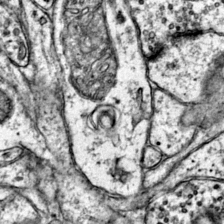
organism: Mouse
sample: Primary visual cortex